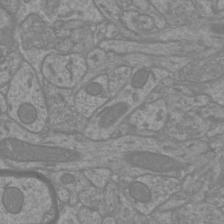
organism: Mouse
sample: Cortical neurons